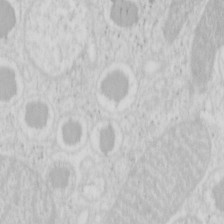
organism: Mouse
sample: Pancreas